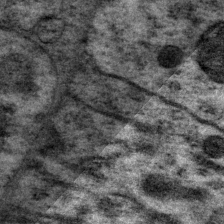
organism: P. pacificus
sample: Pharynx